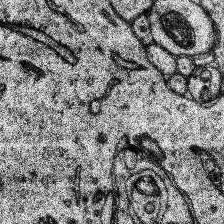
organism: Human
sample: Temporal Lobe